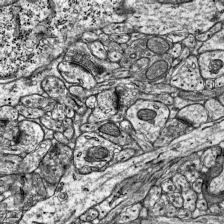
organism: Mouse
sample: Visual Cortex